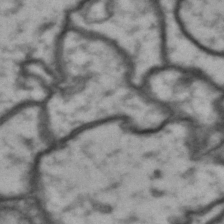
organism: Drosophila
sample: Brain